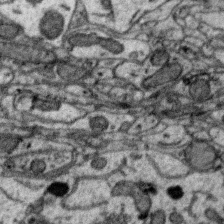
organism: Zebra finch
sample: Brain